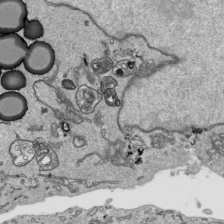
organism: Human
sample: Mitochondria in HCT116 cells